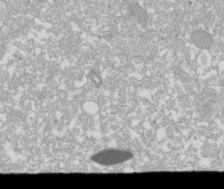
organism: Xenopus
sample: Cilia; centrioles in frog embryo cells